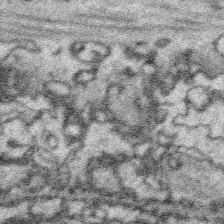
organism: Platynereis dumerilii